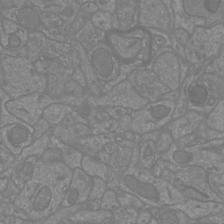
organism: Mouse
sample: Cortical neurons